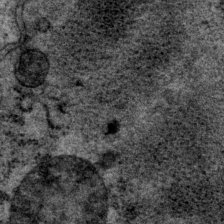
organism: P. pacificus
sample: Pharynx